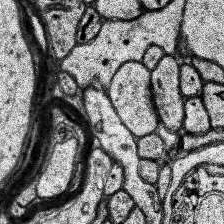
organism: Human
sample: Temporal Lobe